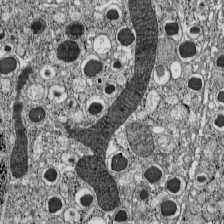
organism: C57BL Mouse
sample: Pancreatic islet